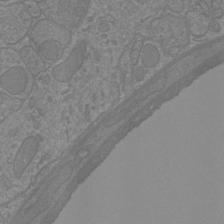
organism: Mouse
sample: Cortical neurons